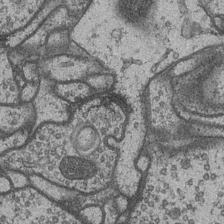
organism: Drosophila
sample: Optic medulla